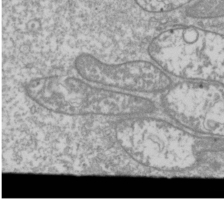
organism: Drosophila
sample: Cell division; meiosis; drosophila spermatocytes